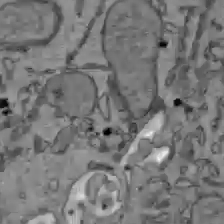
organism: C57BL Mouse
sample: Liver